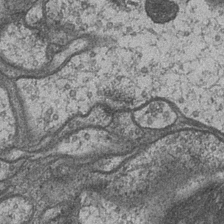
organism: Drosophila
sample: Optic medulla